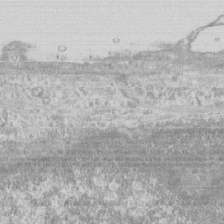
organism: Human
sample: CRL-1474